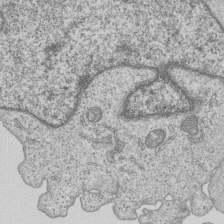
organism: Human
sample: MDA-MB-231 cells